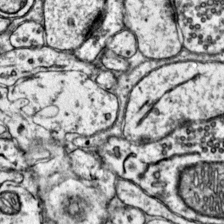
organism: Mouse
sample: Primary visual cortex